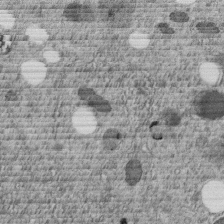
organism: C. elegans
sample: C. elegans embryo early stage